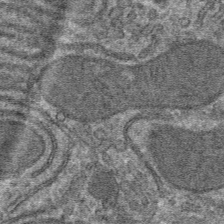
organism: Mouse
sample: Mouse hepatocytes